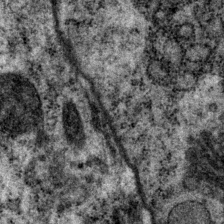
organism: P. pacificus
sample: Pharynx